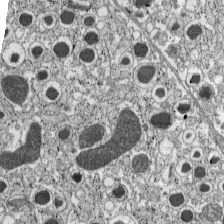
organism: C57BL Mouse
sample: Pancreatic islet